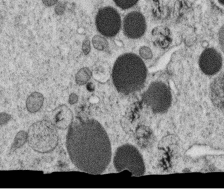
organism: C. elegans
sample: C. elegans oocyte; sperm cells